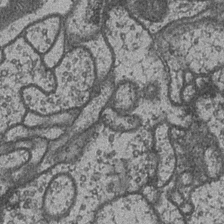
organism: Drosophila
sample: Optic medulla